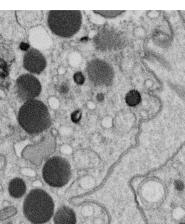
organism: C. elegans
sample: C. elegans oocyte; sperm cells